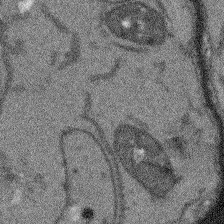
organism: Arabidopsis thaliana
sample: Root tip